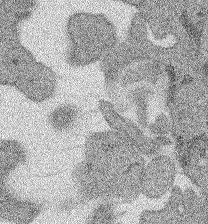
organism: Human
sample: HeLa cells